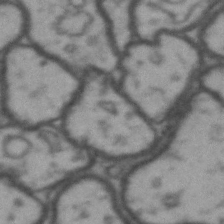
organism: Drosophila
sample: Brain